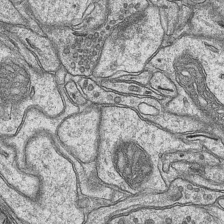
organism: Mouse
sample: CA1 Hippocampus